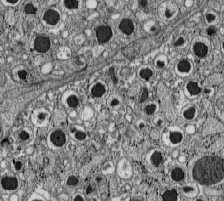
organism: C57BL Mouse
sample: Pancreatic islet